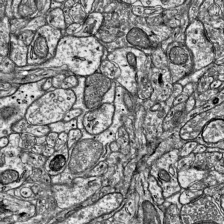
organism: Mouse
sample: Visual Cortex